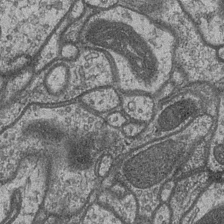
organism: Drosophila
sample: Optic medulla